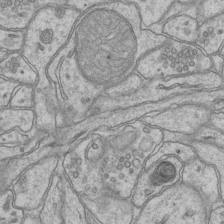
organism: Mouse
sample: CA1 Hippocampus